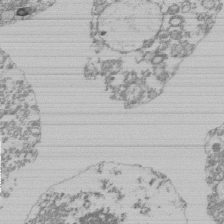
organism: Mouse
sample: Activated Pmel transgenic CD8+ T Cells